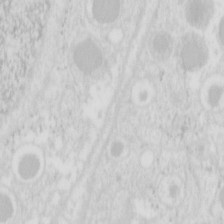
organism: Mouse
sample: Pancreas